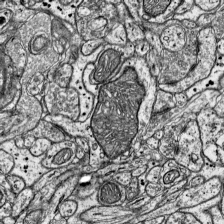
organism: Mouse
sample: Visual Cortex